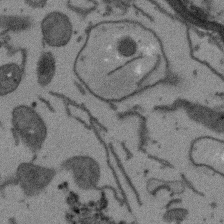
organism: Arabidopsis thaliana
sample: Root tip